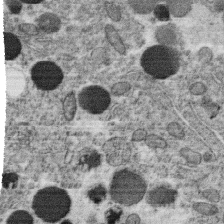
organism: C. elegans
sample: C. elegans oocyte; sperm cells